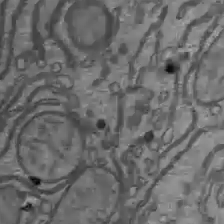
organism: C57BL Mouse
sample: Liver